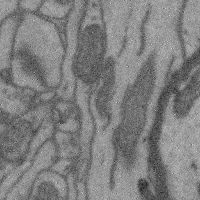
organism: Mouse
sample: Cerebral cortex